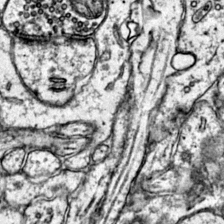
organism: Mouse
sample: Primary visual cortex